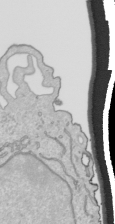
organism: Human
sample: Mitochondria in HCT116 cells